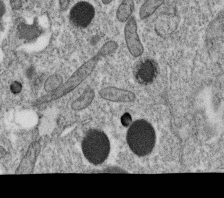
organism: C. elegans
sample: C. elegans oocyte; sperm cells